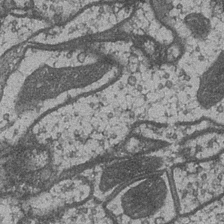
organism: Drosophila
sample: Optic medulla